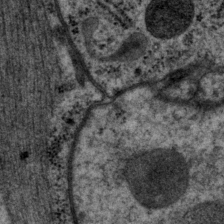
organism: P. pacificus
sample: Pharynx